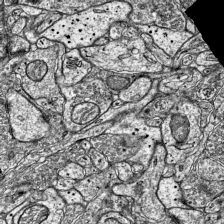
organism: Mouse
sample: Visual Cortex